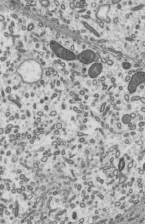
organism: Mouse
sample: Mouse epididymis efferent ductule cilia